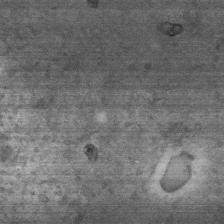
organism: Mouse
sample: Centriole in ependymal cells